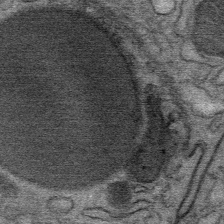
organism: Mouse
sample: Mouse Salivary gland